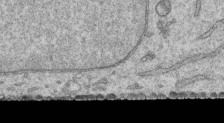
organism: Human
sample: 1205lu cells